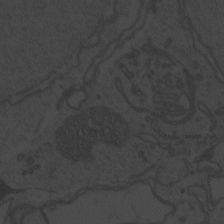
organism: Zebrafish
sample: Macrophage infected with Toxoplasma gondii